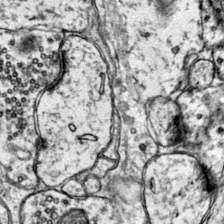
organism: Mouse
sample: Primary visual cortex